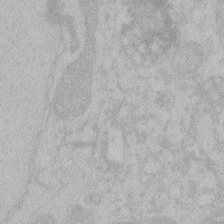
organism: Zebrafish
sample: Macrophage infected with Toxoplasma gondii